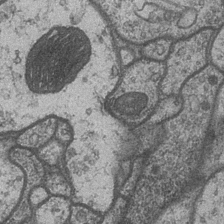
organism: Drosophila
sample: Optic medulla